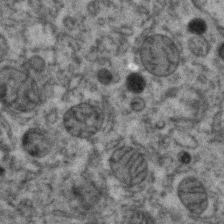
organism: Zebrafish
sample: Zebrafish embryo